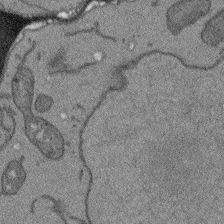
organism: Arabidopsis thaliana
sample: Root tip